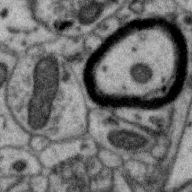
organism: Zebra finch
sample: Brain